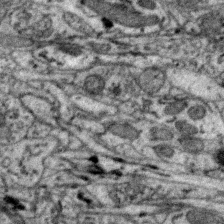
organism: Zebra finch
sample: Brain